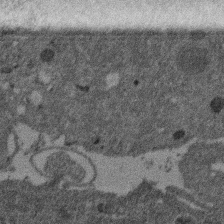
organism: Mouse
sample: Dividing mouse embryo 1 cell stage